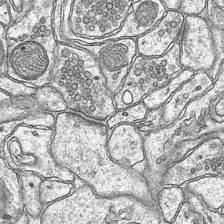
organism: Mouse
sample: CA1 Hippocampus